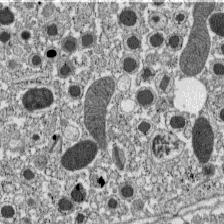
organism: C57BL Mouse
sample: Pancreatic islet